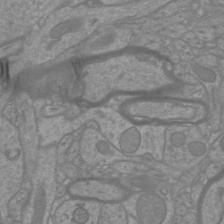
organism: Mouse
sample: Cortical neurons